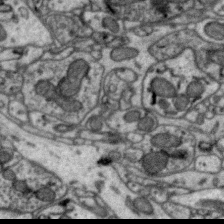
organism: Zebra finch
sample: Brain